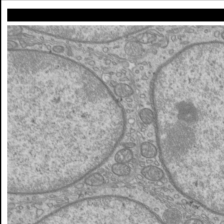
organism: Mouse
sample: Cilia; mouse epididymis